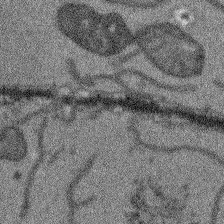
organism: Arabidopsis thaliana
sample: Root tip